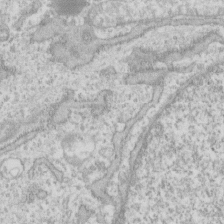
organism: Human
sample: Fibroblast cells